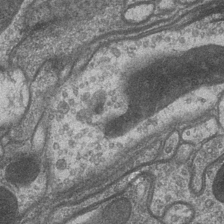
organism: Drosophila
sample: Optic medulla